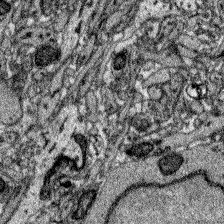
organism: Zebrafish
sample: Larval olfactory bulb